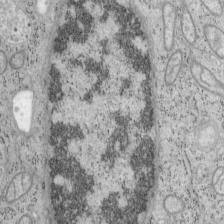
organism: Mouse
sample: OT-I killer T cells with ID8 ovarian cancer cells